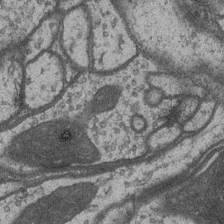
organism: Drosophila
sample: Optic medulla